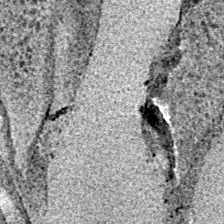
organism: E. coli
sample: E. Coli Bacteria